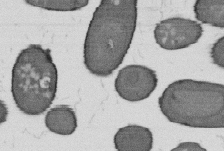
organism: B. subtilis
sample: Bacterial spore